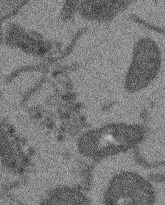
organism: Arabidopsis thaliana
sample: Root tip